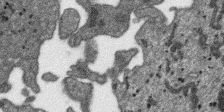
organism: Human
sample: Lung epithelial cells infected with SARS-CoV-2